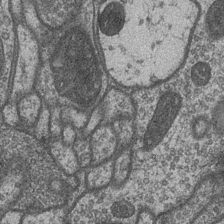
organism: Drosophila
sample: Optic medulla